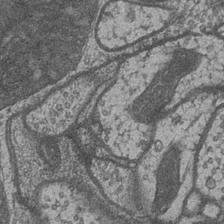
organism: Drosophila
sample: Optic medulla